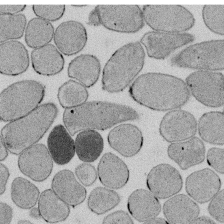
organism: E. coli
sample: Bacterial nucleoid